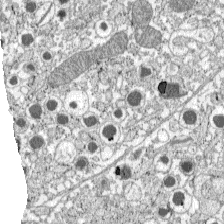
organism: C57BL Mouse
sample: Pancreatic islet